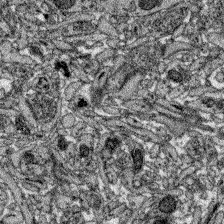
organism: Zebrafish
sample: Larval olfactory bulb